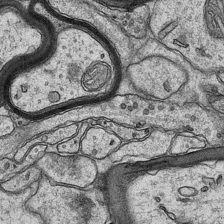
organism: Mouse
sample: CA1 Hippocampus